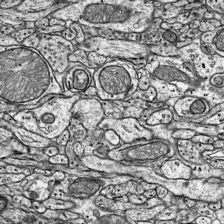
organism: Mouse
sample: Visual Cortex